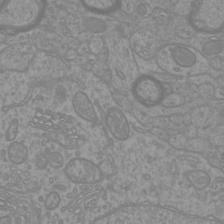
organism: Mouse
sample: Cortical neurons